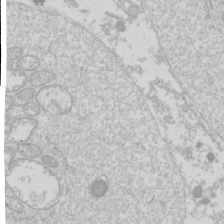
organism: Drosophila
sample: Cell division; meiosis; drosophila spermatocytes